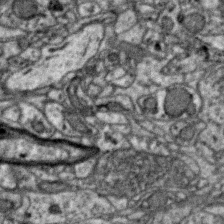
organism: Zebra finch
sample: Brain